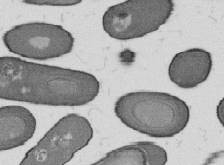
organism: B. subtilis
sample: Bacterial spore